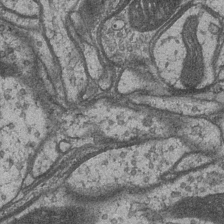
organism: Drosophila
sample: Optic medulla